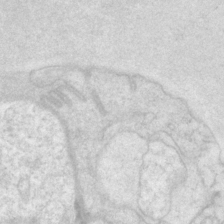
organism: P. pacificus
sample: Pharynx